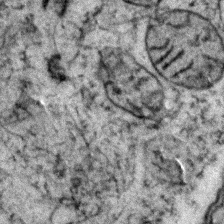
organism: Zebrafish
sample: Zebrafish embryo